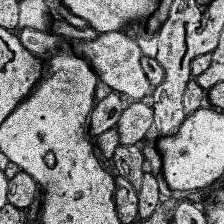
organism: Human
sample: Temporal Lobe